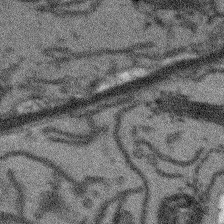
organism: Arabidopsis thaliana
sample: Root tip